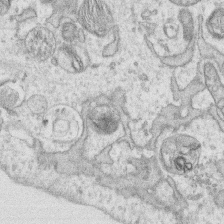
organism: Human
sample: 1205lu cells